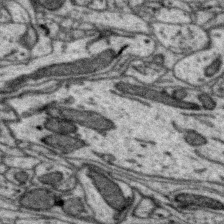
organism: Zebra finch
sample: Brain